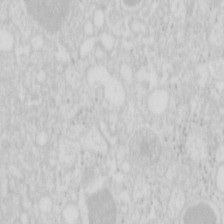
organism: Mouse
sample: Pancreas